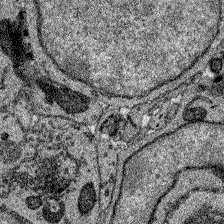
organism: Zebrafish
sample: Larval olfactory bulb